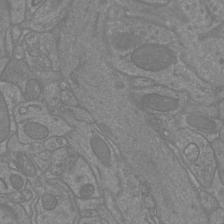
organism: Mouse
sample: Cortical neurons